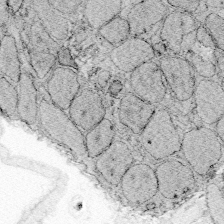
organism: Zebrafish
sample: Whole-Brain